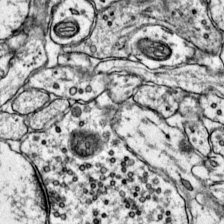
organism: Mouse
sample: Primary visual cortex